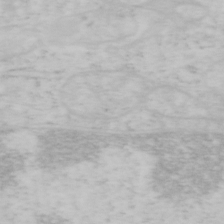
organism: Mouse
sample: OT-I killer T cells with ID8 ovarian cancer cells